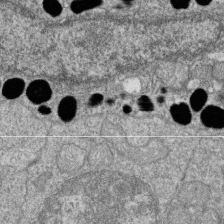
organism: Zebrafish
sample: Cilia; retinal pigment epithelium